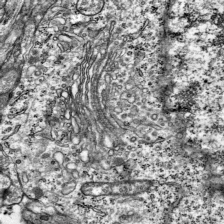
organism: Mouse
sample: Visual Cortex